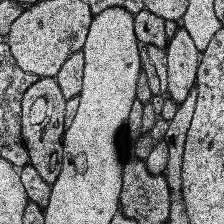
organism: Human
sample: Temporal Lobe